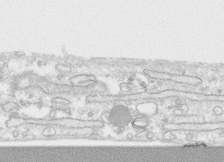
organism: Human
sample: CRL-1474